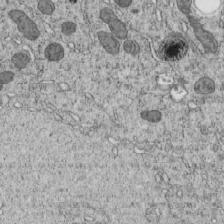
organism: C. elegans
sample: C. elegans embryo early stage